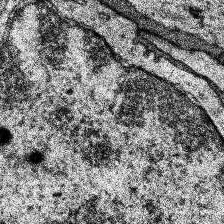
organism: Human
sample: Temporal Lobe